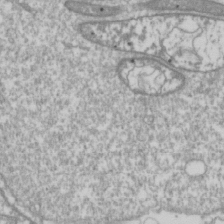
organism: Drosophila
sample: Cell division; meiosis; drosophila spermatocytes